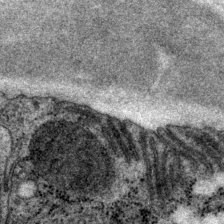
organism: P. pacificus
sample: Pharynx